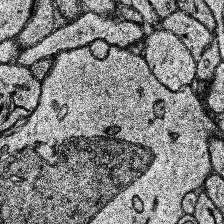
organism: Human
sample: Temporal Lobe